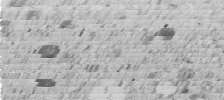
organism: C. elegans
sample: C. elegans embryo early stage